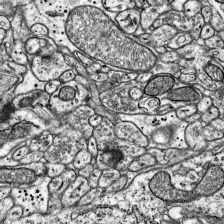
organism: Mouse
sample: Visual Cortex